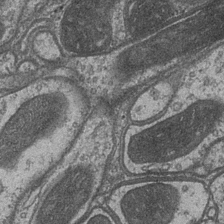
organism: Drosophila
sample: Optic medulla